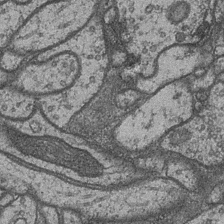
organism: Drosophila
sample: Optic medulla